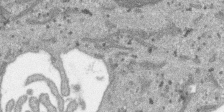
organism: Human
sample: Lung epithelial cells infected with SARS-CoV-2